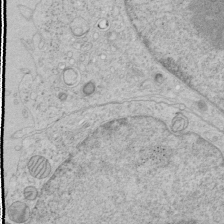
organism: Human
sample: Mitochondria in HCT116 cells